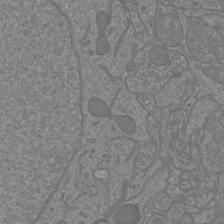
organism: Mouse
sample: Cortical neurons